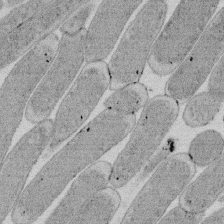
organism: E. coli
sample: Bacterial nucleoid